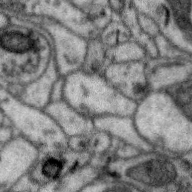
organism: Zebra finch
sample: Brain